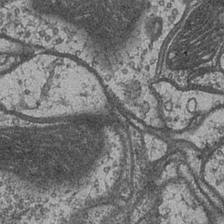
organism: Drosophila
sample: Optic medulla